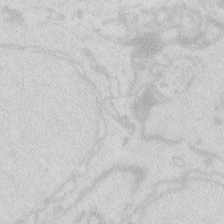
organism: Zebrafish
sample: Macrophage